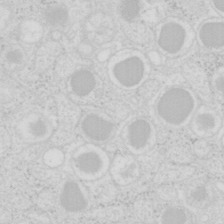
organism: Mouse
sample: Pancreas